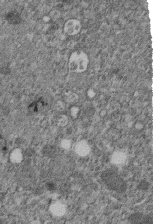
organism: C. elegans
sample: C. elegans embryo early stage